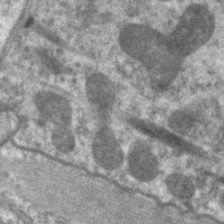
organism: C. elegans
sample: Pharynx